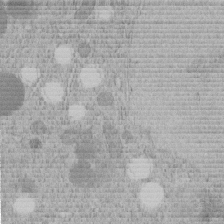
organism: C. elegans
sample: C. elegans embryo early stage